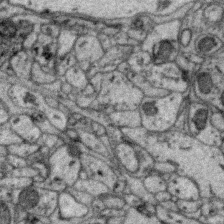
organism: Zebra finch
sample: Brain